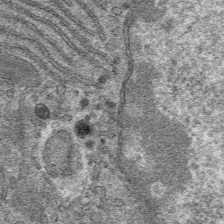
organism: Mouse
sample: Mouse hepatocytes